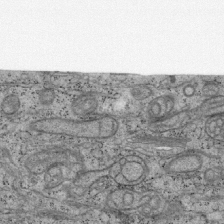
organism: Human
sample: HeLa cells